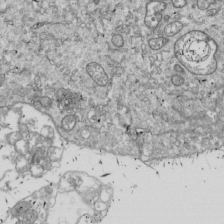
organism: Drosophila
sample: Cell division; meiosis; drosophila spermatocytes